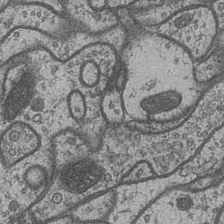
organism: Drosophila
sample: Optic medulla